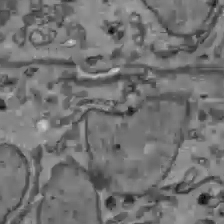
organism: C57BL Mouse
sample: Liver